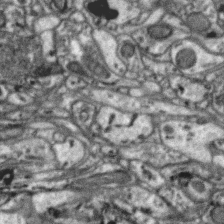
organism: Zebra finch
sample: Brain